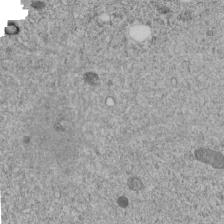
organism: C. elegans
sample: C. elegans embryo early stage